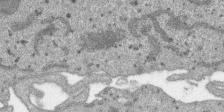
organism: Human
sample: Lung epithelial cells infected with SARS-CoV-2